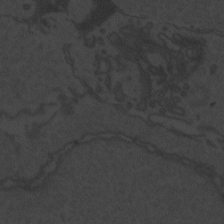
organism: Zebrafish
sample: Macrophage infected with Toxoplasma gondii